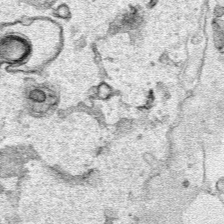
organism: Human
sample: Mitochondria in HCT116 cells